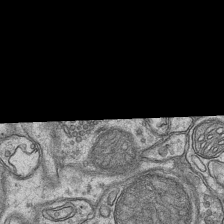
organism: Mouse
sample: CA1 Hippocampus